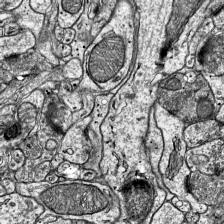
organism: Mouse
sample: Visual Cortex